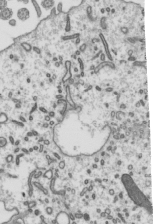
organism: Mouse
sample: Mouse epididymis efferent ductule cilia